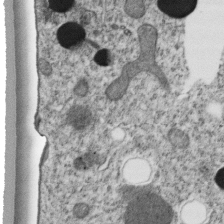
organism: C. elegans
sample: C. elegans embryo early stage